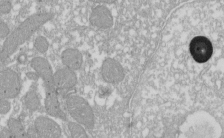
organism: Xenopus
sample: Cilia; centrioles in frog embryo cells